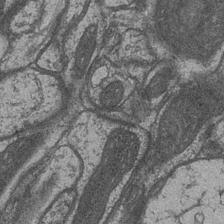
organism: Drosophila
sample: Optic medulla